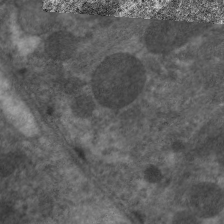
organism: C. elegans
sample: Pharynx